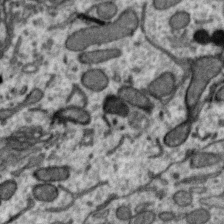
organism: Zebra finch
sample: Brain